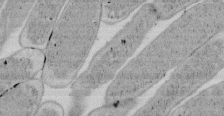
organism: E. coli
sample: Bacterial nucleoid